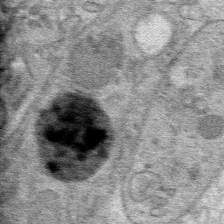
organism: Mouse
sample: Mouse hepatocytes